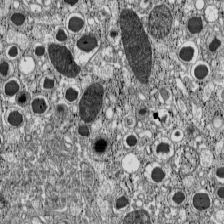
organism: C57BL Mouse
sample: Pancreatic islet